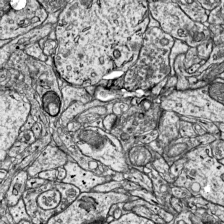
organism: Mouse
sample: Visual Cortex